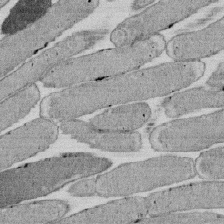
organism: E. coli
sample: Bacterial nucleoid